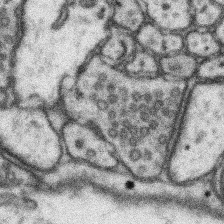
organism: Mouse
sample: Somatosensory cortex neuropil